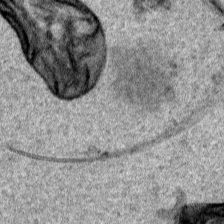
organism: Human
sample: Mitochondria in HCT116 cells